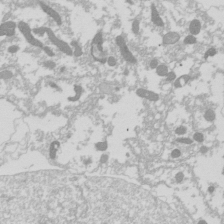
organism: Drosophila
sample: Cell division; meiosis; drosophila spermatocytes